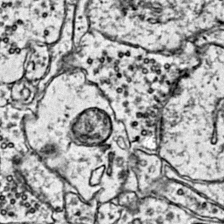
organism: Mouse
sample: Primary visual cortex